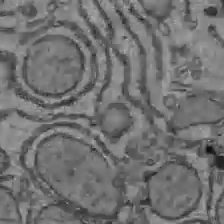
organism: C57BL Mouse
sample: Liver